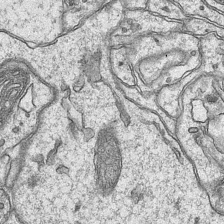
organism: Mouse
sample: CA1 Hippocampus